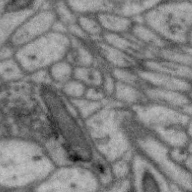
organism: Zebra finch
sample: Brain